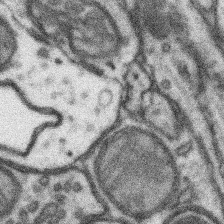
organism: Mouse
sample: Somatosensory cortex neuropil